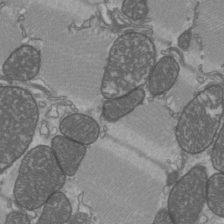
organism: C57BL Mouse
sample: Heart